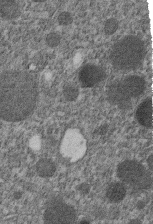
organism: C. elegans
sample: C. elegans embryo early stage